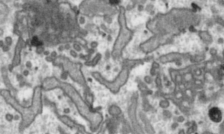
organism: Toxoplasma gondii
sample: Parasites in a vacuole inside a host cell